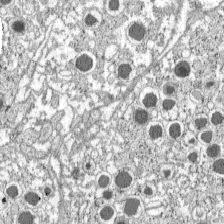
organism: C57BL Mouse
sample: Pancreatic islet